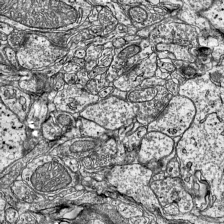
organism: Mouse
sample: Visual Cortex